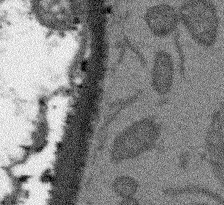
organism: Arabidopsis thaliana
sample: Root tip